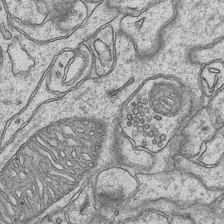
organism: Mouse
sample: CA1 Hippocampus